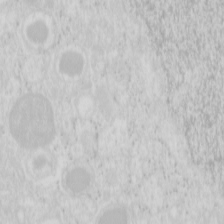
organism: Mouse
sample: Pancreas